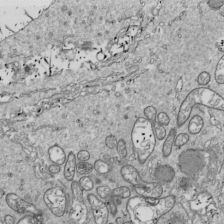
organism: Drosophila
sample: Cell division; meiosis; drosophila spermatocytes